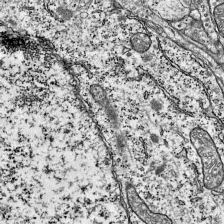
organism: Mouse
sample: Visual Cortex